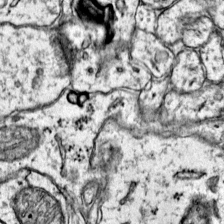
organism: Mouse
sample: Primary visual cortex